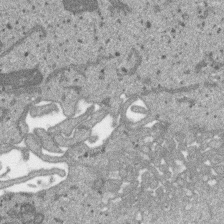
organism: Human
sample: Lung epithelial cells infected with SARS-CoV-2